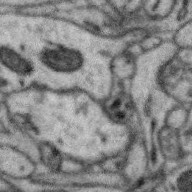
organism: Zebra finch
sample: Brain